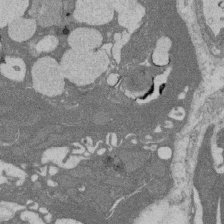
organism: Rat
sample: Salivary granule